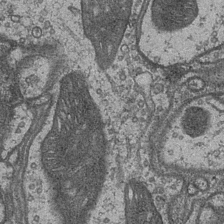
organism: Drosophila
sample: Optic medulla